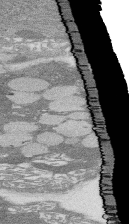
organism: Rat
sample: Salivary granule